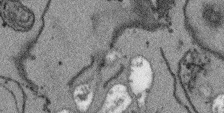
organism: Arabidopsis thaliana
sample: Root tip